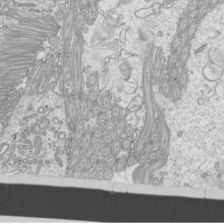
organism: Mouse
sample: Cilia; mouse epididymis